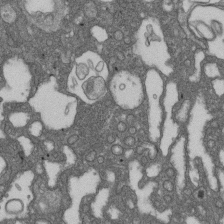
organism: Drosophila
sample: Nephrocyte